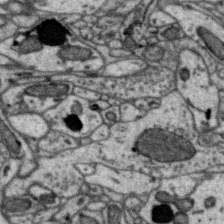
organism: Zebra finch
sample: Brain